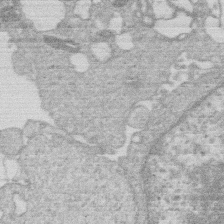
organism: Human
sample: Macrophage cells